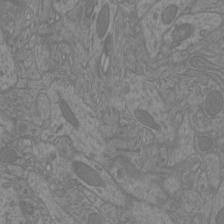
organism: Mouse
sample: Cortical neurons